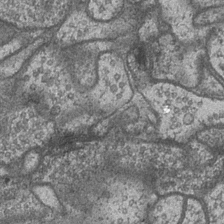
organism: Drosophila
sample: Optic medulla